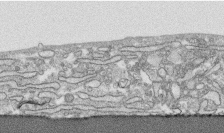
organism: Human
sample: CRL-1474